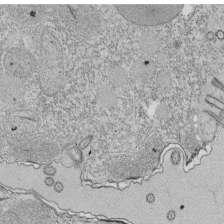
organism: Tetrahymena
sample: Cilia in tetrahymena